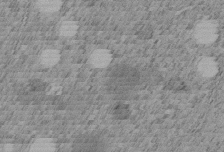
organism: C. elegans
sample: C. elegans embryo early stage